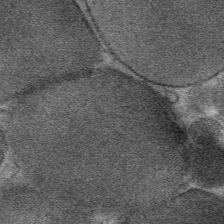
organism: Mouse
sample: Mouse Salivary gland